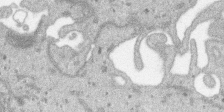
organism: Human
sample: Lung epithelial cells infected with SARS-CoV-2